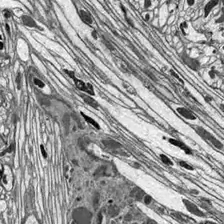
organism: Drosophila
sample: Optic lobe